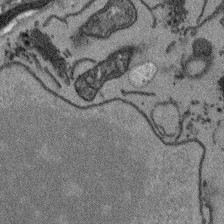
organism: Arabidopsis thaliana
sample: Root tip